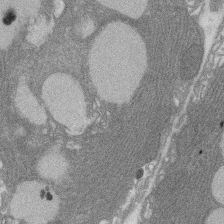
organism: Rat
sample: Salivary granule